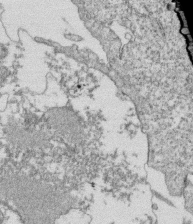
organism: Human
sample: HeLa cell HIV synapse